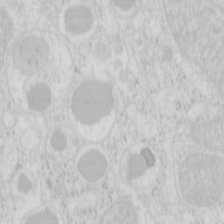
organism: Mouse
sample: Pancreas